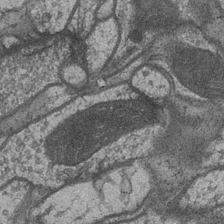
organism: Drosophila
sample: Optic medulla